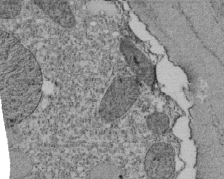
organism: Tetrahymena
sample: Cilia in tetrahymena